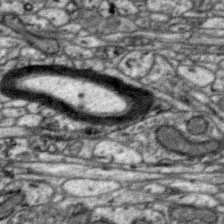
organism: Zebra finch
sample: Brain